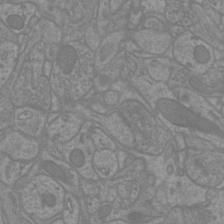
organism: Mouse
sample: Cortical neurons